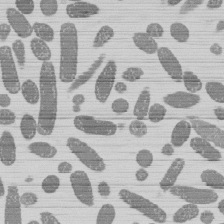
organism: E. coli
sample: Bacterial nucleoid